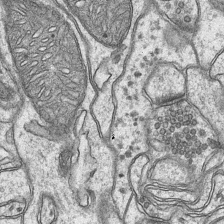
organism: Mouse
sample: CA1 Hippocampus